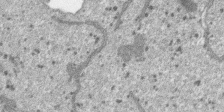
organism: Human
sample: Lung epithelial cells infected with SARS-CoV-2